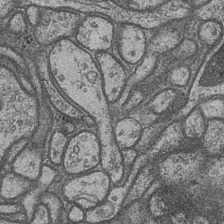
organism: Drosophila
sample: Optic medulla